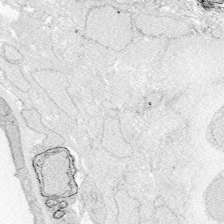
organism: Zebrafish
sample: Whole-Brain